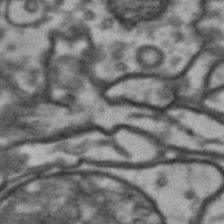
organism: Drosophila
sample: Brain